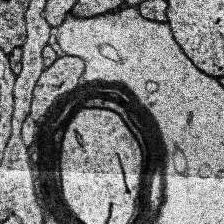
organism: Human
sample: Temporal Lobe